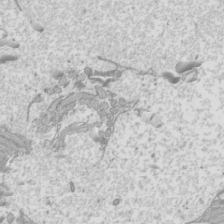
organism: Mouse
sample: Cilia; mouse epididymis